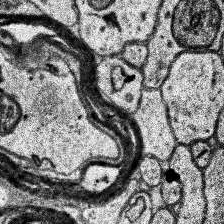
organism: Human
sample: Temporal Lobe